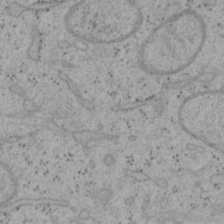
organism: Human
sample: HeLa cells